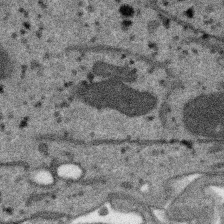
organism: Human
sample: Lung epithelial cells infected with SARS-CoV-2